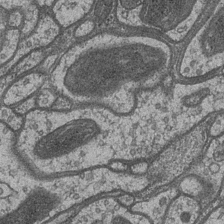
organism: Drosophila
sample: Optic medulla